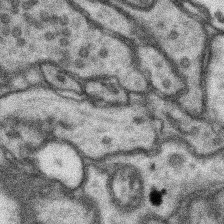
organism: Mouse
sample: Somatosensory cortex neuropil